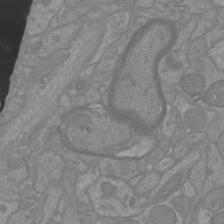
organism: Mouse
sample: Cortical neurons